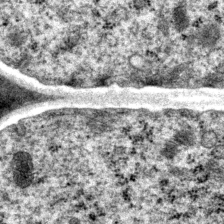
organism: P. pacificus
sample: Pharynx